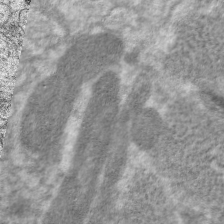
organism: C. elegans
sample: Pharynx